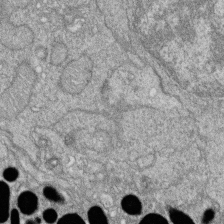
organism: Zebrafish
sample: Cilia; retinal pigment epithelium